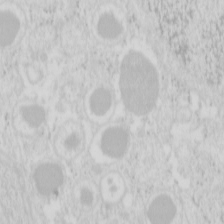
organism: Mouse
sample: Pancreas